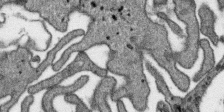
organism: Human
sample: Lung epithelial cells, uninfected (mock) control